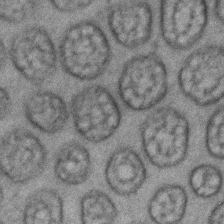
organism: C. elegans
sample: C. elegans embryo